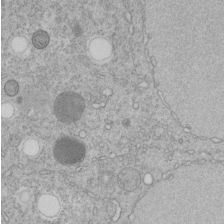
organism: C. elegans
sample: C. elegans embryo early stage